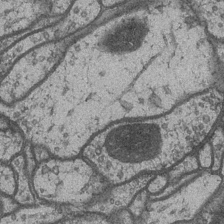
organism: Drosophila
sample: Optic medulla